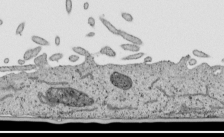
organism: Human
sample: Mitochondria in HCT116 cells